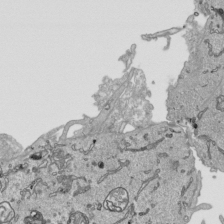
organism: Human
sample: Mitochondria in HCT116 cells